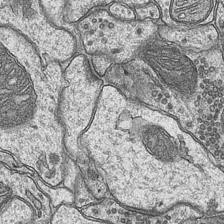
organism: Mouse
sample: CA1 Hippocampus